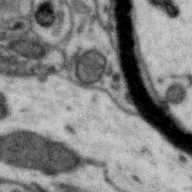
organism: Zebra finch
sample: Brain